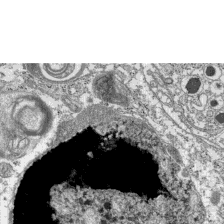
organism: C57BL Mouse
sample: Pancreatic islet